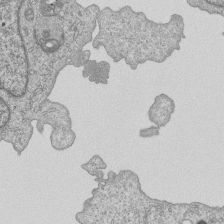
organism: Human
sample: MDA-MB-231 cells